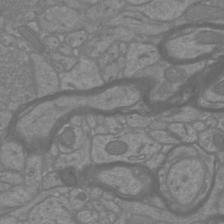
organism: Mouse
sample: Cortical neurons